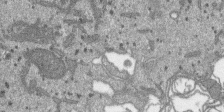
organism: Human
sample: Lung epithelial cells infected with SARS-CoV-2